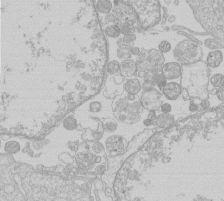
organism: Human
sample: Macrophage cells